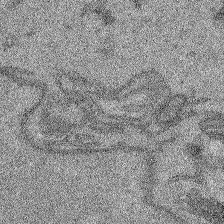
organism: Human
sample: HeLa cells